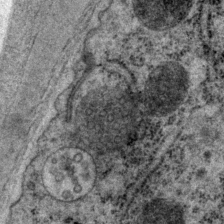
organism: P. pacificus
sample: Pharynx